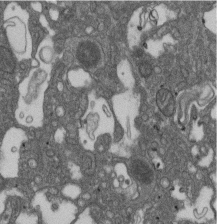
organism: Drosophila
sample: Nephrocyte